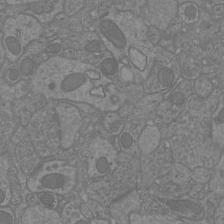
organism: Mouse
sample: Cortical neurons